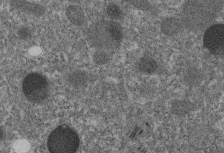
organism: C. elegans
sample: C. elegans embryo early stage